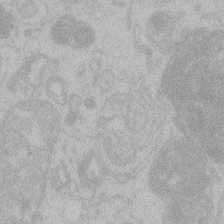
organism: Zebrafish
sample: Macrophage infected with Toxoplasma gondii